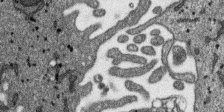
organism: Human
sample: Lung epithelial cells infected with SARS-CoV-2